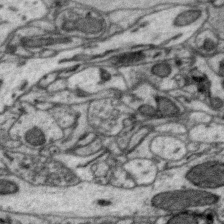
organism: Zebra finch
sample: Brain